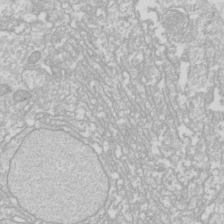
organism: Drosophila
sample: Cell division; meiosis; drosophila spermatocytes